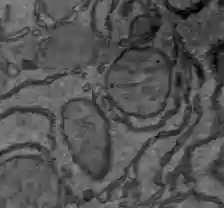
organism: C57BL Mouse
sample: Liver